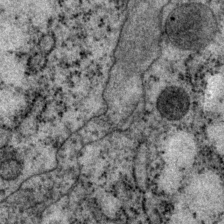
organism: P. pacificus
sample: Pharynx